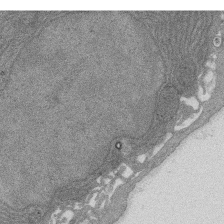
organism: Rat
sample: Salivary granule